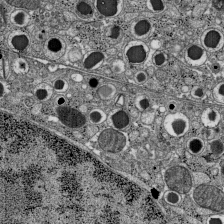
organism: C57BL Mouse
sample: Pancreatic islet